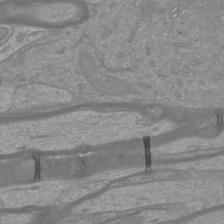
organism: Mouse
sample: Cortical neurons